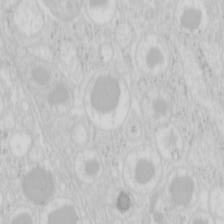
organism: Mouse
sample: Pancreas